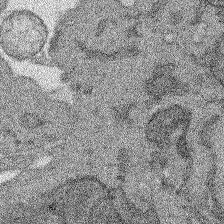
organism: Human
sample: HeLa cells